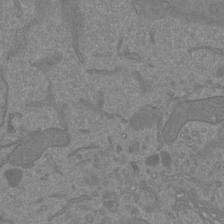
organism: Mouse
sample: Cortical neurons